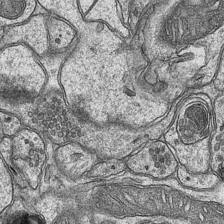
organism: Mouse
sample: CA1 Hippocampus